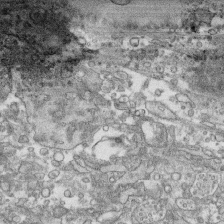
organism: Human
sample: CRL-1474